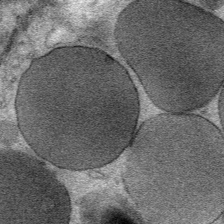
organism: Mouse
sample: Mouse Salivary gland